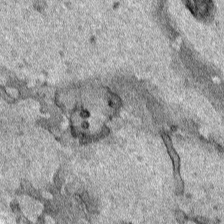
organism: Human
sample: Mitochondria in HCT116 cells